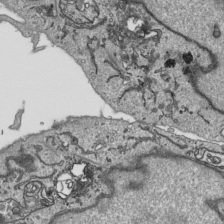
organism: Human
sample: Mitochondria in HCT116 cells